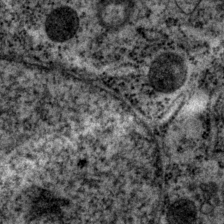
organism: P. pacificus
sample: Pharynx